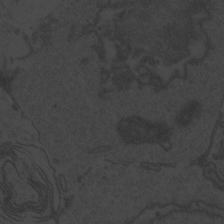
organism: Zebrafish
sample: Macrophage infected with Toxoplasma gondii